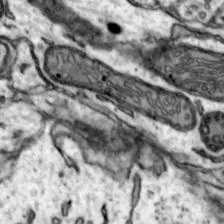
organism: Mouse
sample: Nucleus accumbens